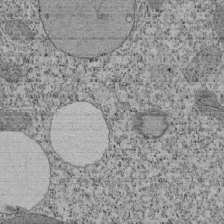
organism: Tetrahymena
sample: Cilia in tetrahymena